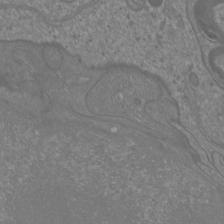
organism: Mouse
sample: Cortical neurons